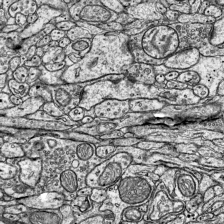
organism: Mouse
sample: Visual Cortex